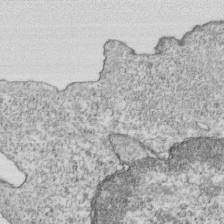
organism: Mouse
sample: Activated OT-1 CD8+ T cells